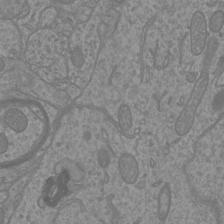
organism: Mouse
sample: Cortical neurons